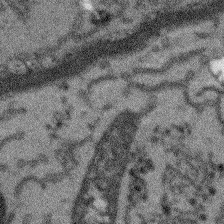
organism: Arabidopsis thaliana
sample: Root tip